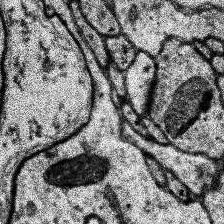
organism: Human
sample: Temporal Lobe